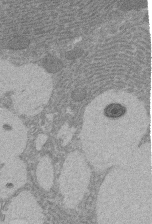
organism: Rat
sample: Salivary granule